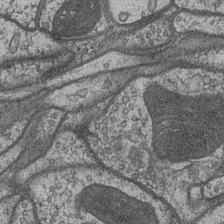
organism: Drosophila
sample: Optic medulla